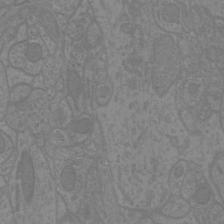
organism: Mouse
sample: Cortical neurons